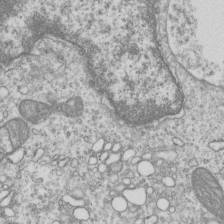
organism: Human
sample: MDA-MB-231 cells